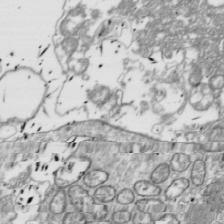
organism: Drosophila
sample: Cell division; meiosis; drosophila spermatocytes